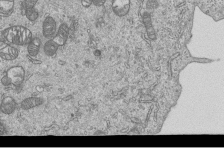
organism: Human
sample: MDA-MB-231 cells